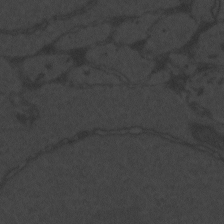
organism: Zebrafish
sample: Macrophage infected with Toxoplasma gondii